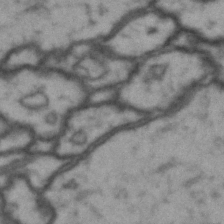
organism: Drosophila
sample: Brain